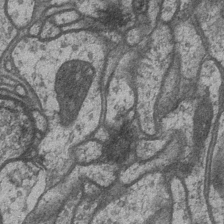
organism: Drosophila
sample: Optic medulla